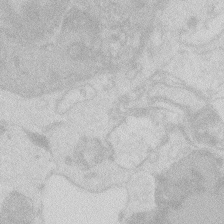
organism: Zebrafish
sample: Macrophage